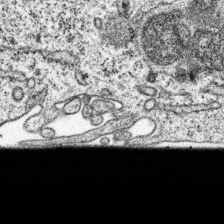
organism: Human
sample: HeLa cells